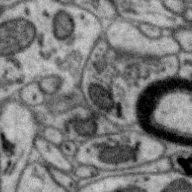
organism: Zebra finch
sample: Brain